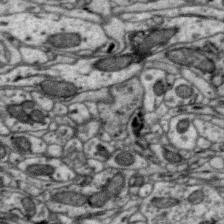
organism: Zebra finch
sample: Brain